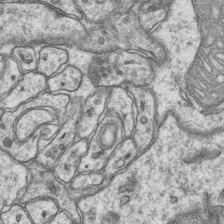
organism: Mouse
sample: CA1 Hippocampus